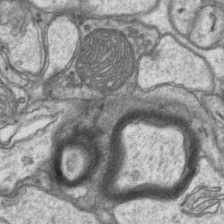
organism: Mouse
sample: CA1 Hippocampus